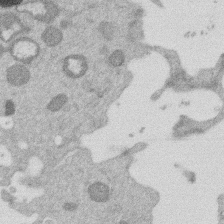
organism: Mouse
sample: Dividing mouse embryo 1 cell stage